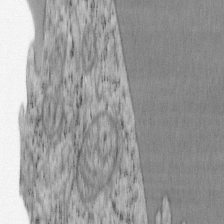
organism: Human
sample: HeLa cells